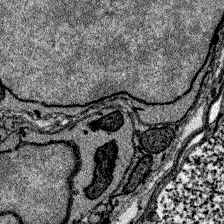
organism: Zebrafish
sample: Larval olfactory bulb